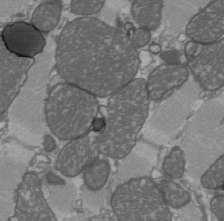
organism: C57BL Mouse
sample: Heart